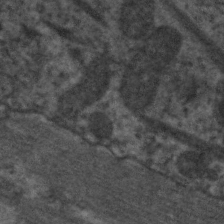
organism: C. elegans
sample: Pharynx